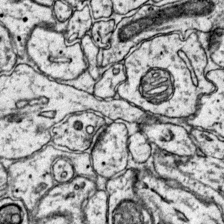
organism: Mouse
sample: Primary visual cortex